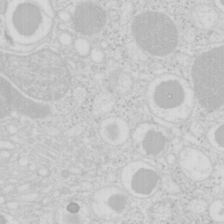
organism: Mouse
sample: Pancreas